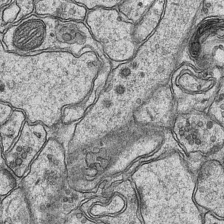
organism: Mouse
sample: CA1 Hippocampus